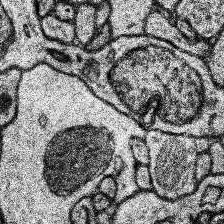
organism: Human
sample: Temporal Lobe